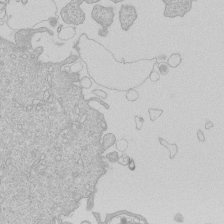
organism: Human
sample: Macrophage cells